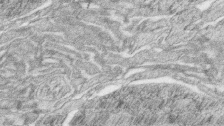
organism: Zebrafish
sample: synaptic ribbons in rod cells and cone cells